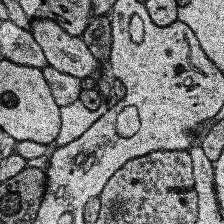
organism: Human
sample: Temporal Lobe